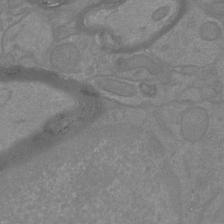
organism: Mouse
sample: Cortical neurons